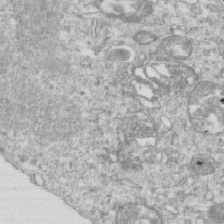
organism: Mouse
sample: Activated OT-1 CD8+ T cells